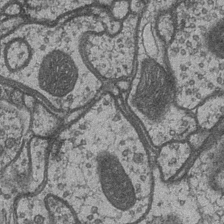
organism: Drosophila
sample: Optic medulla